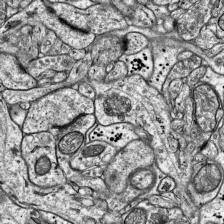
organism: Mouse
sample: Visual Cortex